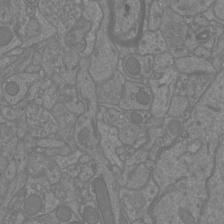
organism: Mouse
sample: Cortical neurons